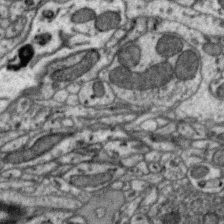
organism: Zebra finch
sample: Brain